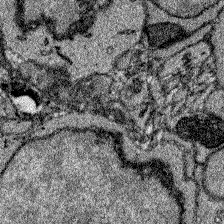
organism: Zebrafish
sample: Larval olfactory bulb